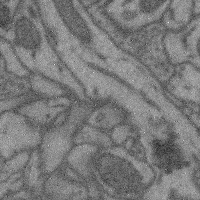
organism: Mouse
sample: Cerebral cortex